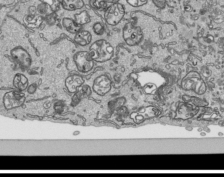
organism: Human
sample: Mitochondria in HCT116 cells